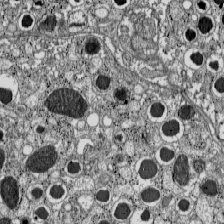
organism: C57BL Mouse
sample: Pancreatic islet